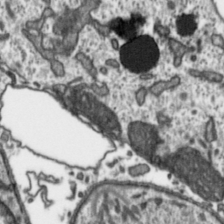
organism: Toxoplasma gondii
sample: Parasites in a vacuole inside a host cell